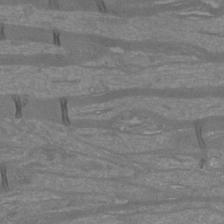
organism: Mouse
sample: Cortical neurons